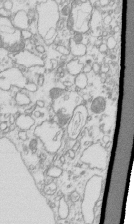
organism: Mouse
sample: Macrophages